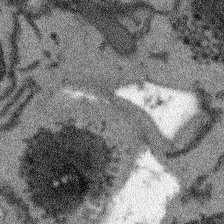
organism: Arabidopsis thaliana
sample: Root tip